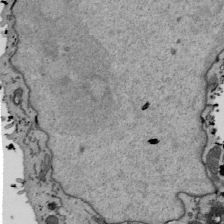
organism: Mouse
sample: ED-1 cell nuclei; centrioles